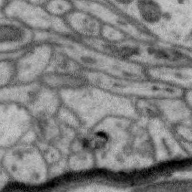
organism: Zebra finch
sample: Brain